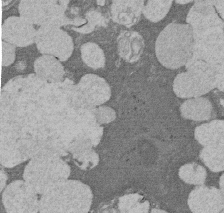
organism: Rat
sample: Salivary granule